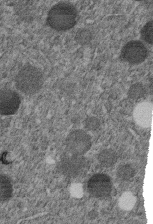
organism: C. elegans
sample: C. elegans embryo early stage